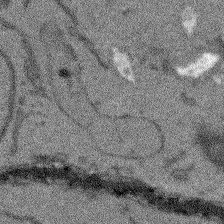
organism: Arabidopsis thaliana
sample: Root tip